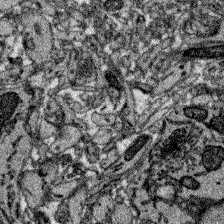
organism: Zebrafish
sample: Larval olfactory bulb